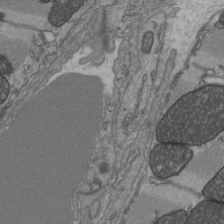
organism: C57BL Mouse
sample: Heart